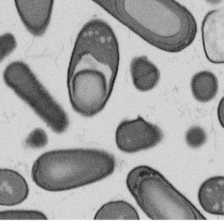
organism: B. subtilis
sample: Bacterial spore